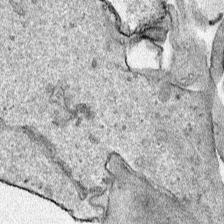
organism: Human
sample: Mitochondria in HCT116 cells